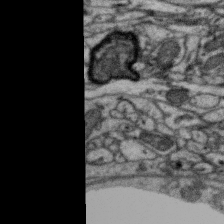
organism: Zebra finch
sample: Brain